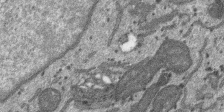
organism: Human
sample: Lung epithelial cells infected with SARS-CoV-2